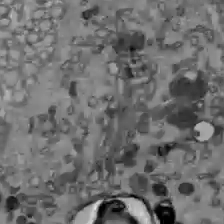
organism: C57BL Mouse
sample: Liver